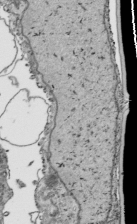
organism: Human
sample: Mitochondria in HCT116 cells